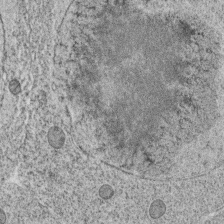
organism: C. elegans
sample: C. elegans oocyte; sperm cells